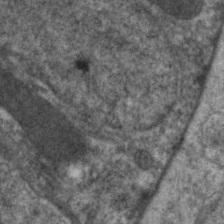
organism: C. elegans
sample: Pharynx